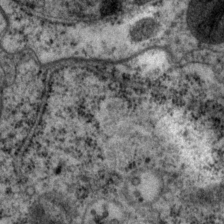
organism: P. pacificus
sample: Pharynx